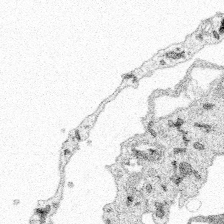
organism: Spongilla lacustris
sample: Multiple